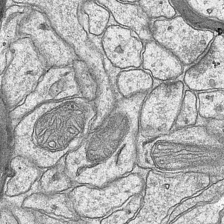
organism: Mouse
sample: CA1 Hippocampus